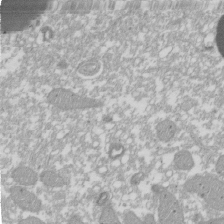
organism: Xenopus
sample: Cilia; centrioles in frog embryo cells